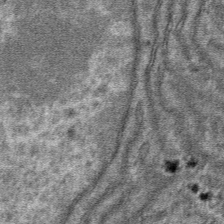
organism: Mouse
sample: Mouse hepatocytes